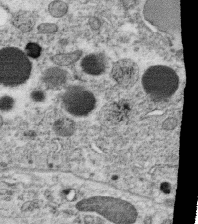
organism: C. elegans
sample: C. elegans oocyte; sperm cells